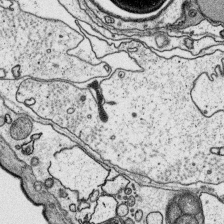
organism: Platynereis dumerilii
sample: Parapodia